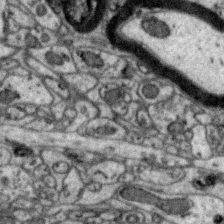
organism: Zebra finch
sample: Brain